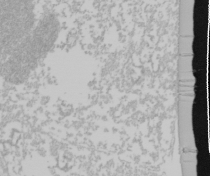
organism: Mouse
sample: Cancer cell death in ED-1 cells